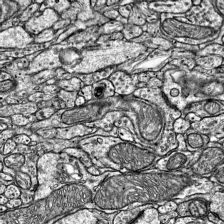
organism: Mouse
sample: Visual Cortex